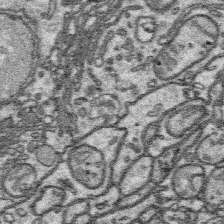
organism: Platynereis dumerilii